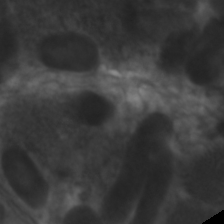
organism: C. elegans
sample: Pharynx